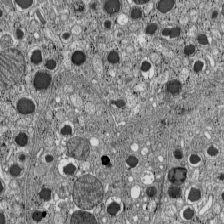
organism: C57BL Mouse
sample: Pancreatic islet